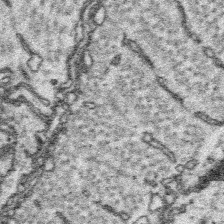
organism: Platynereis dumerilii